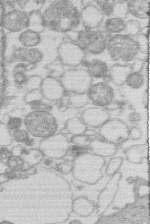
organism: Human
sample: Macrophage cells